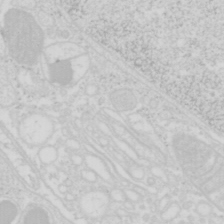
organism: Mouse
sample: Pancreas